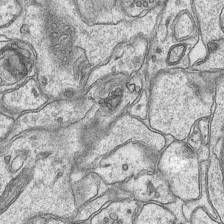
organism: Mouse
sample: CA1 Hippocampus